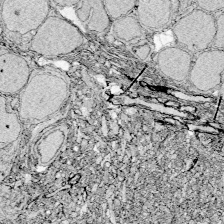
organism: Zebrafish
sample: Whole-Brain